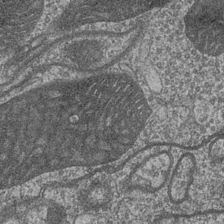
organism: Drosophila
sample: Optic medulla